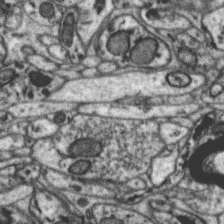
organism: Zebra finch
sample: Brain